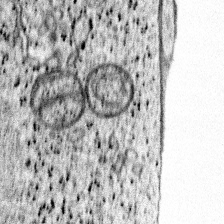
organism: Human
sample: HeLa cells